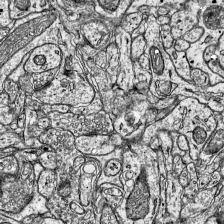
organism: Mouse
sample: Visual Cortex